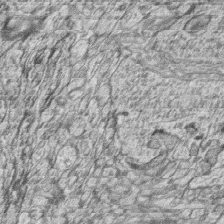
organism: Zebrafish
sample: synaptic ribbons in rod cells and cone cells